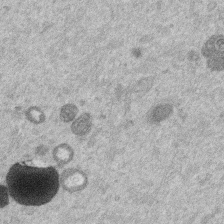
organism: Mouse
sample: Dividing mouse embryo 1 cell stage